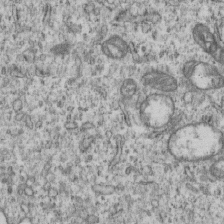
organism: Human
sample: MDA-MB-231 cells